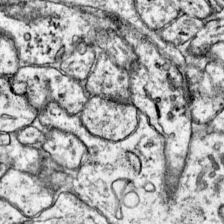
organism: Mouse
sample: Primary visual cortex